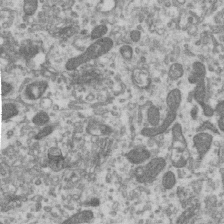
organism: Human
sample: Centriole in RPE cells